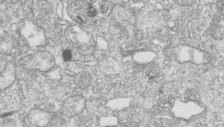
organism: Human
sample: HeLa cell HIV synapse